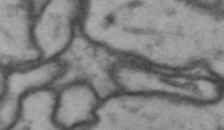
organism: Drosophila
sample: Brain